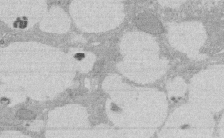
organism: Rat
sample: Salivary granule